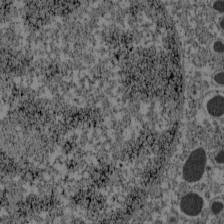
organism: C57BL Mouse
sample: Pancreatic islet